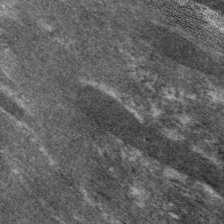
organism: C. elegans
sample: Pharynx